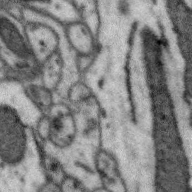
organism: Zebra finch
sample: Brain